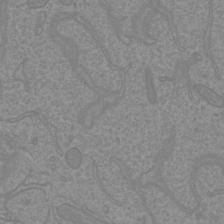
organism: Mouse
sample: Cortical neurons